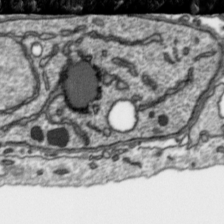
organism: Toxoplasma gondii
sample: Parasites in a vacuole inside a host cell